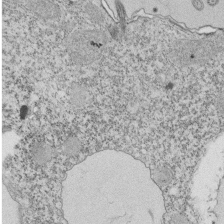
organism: Tetrahymena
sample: Cilia in tetrahymena